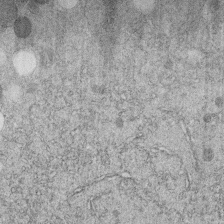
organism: C. elegans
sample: C. elegans embryo early stage